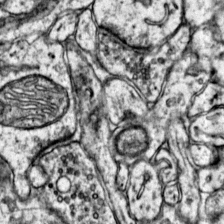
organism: Mouse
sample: Primary visual cortex